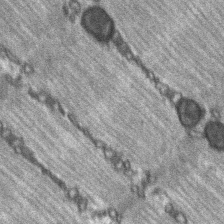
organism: C57BL Mouse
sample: Soleus